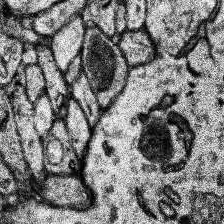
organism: Human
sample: Temporal Lobe